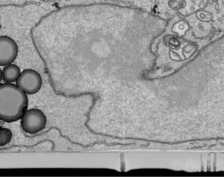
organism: Human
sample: Mitochondria in HCT116 cells